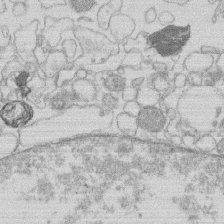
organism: Human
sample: Macrophage cells